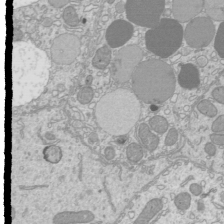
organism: Mouse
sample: Cilia; mouse epididymis